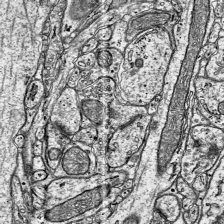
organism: Mouse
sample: Visual Cortex